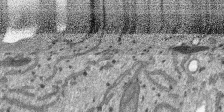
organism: Human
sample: Lung epithelial cells infected with SARS-CoV-2